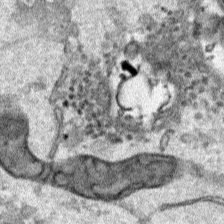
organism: Human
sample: Mitochondria in HCT116 cells